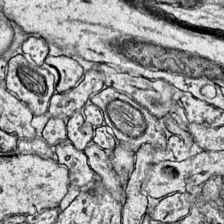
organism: Mouse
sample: Primary visual cortex